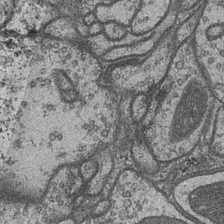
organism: Drosophila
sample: Optic medulla